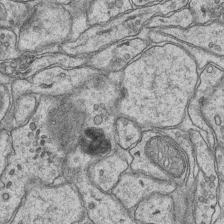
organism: Mouse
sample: CA1 Hippocampus